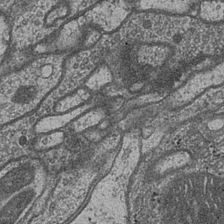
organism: Drosophila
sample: Optic medulla